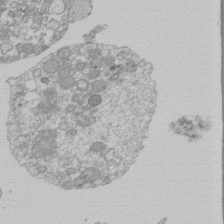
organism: Mouse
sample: Activated Pmel transgenic CD8+ T Cells